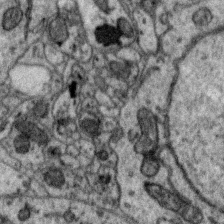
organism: Zebra finch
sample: Brain